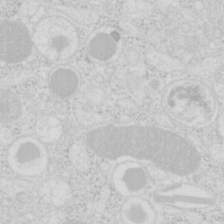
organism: Mouse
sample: Pancreas